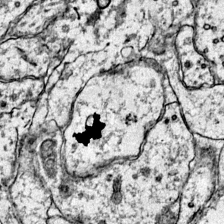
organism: Mouse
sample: Primary visual cortex